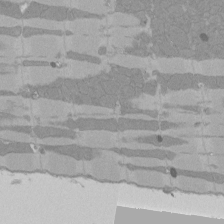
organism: Rat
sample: Left ventricle